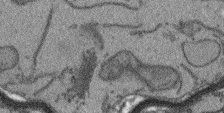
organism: Arabidopsis thaliana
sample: Root tip